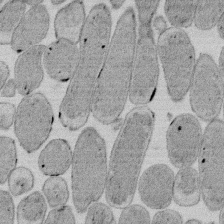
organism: E. coli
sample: Bacterial nucleoid